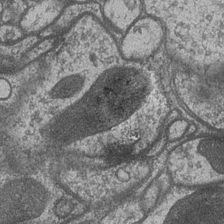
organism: Drosophila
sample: Optic medulla